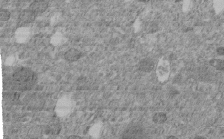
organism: C. elegans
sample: C. elegans embryo early stage